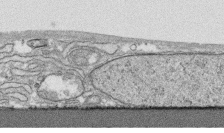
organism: Human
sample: CRL-1474